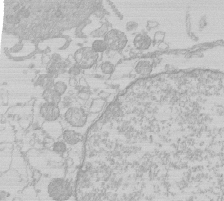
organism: Human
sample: Macrophage cells